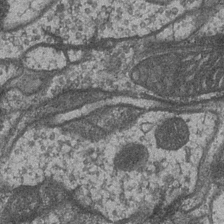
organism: Drosophila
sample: Optic medulla